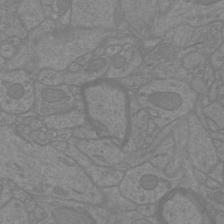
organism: Mouse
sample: Cortical neurons